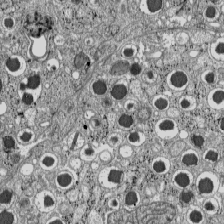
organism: C57BL Mouse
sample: Pancreatic islet